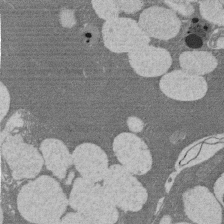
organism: Rat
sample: Salivary granule